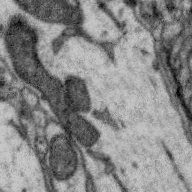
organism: Zebra finch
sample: Brain